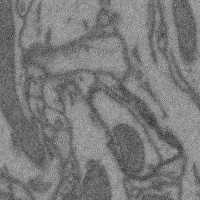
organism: Mouse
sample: Cerebral cortex